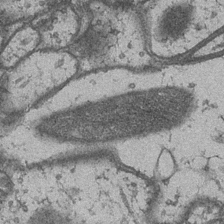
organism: Drosophila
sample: Optic medulla